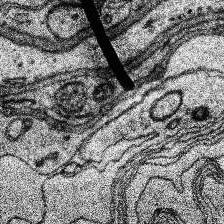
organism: Human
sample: Temporal Lobe